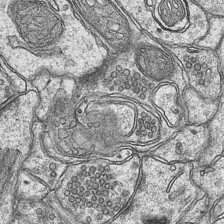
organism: Mouse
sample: CA1 Hippocampus